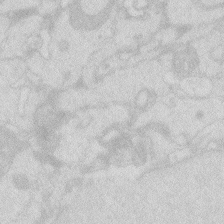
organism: Zebrafish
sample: Macrophage